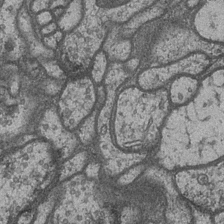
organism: Drosophila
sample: Optic medulla